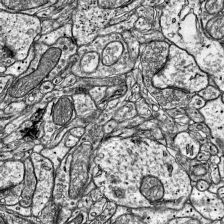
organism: Mouse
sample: Visual Cortex